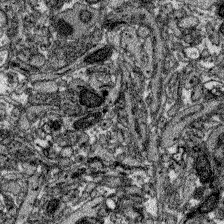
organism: Zebrafish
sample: Larval olfactory bulb